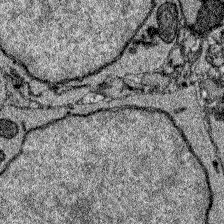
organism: Zebrafish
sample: Larval olfactory bulb